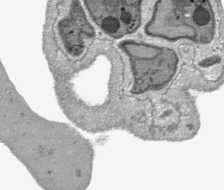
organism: Plasmodium falciparum